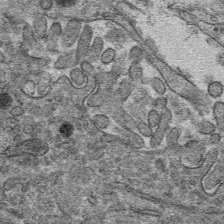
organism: Mouse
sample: Mouse hepatocytes